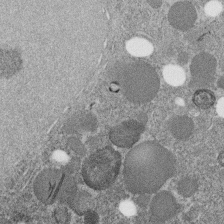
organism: C. elegans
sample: C. elegans embryo early stage